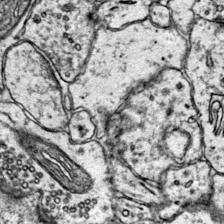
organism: Mouse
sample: Primary visual cortex